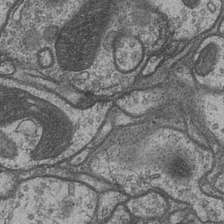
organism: Drosophila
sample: Optic medulla